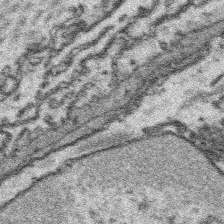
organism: Platynereis dumerilii